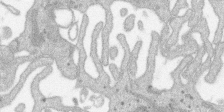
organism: Human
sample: Lung epithelial cells infected with SARS-CoV-2